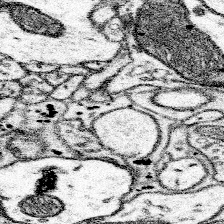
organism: Mouse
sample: Somatosensory cortex neuropil